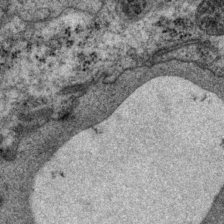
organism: P. pacificus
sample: Pharynx